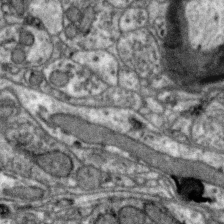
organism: Zebra finch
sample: Brain